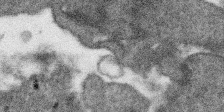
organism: Human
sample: Lung epithelial cells infected with SARS-CoV-2